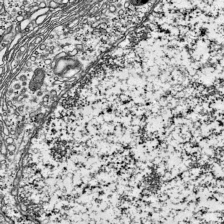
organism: Mouse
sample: Visual Cortex